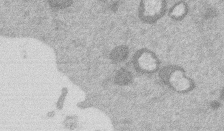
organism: Mouse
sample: Dividing mouse embryo 1 cell stage